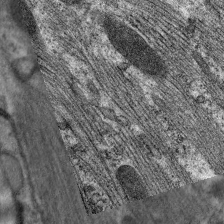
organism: C. elegans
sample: Pharynx